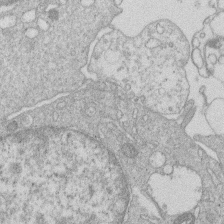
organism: Human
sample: Macrophage cells